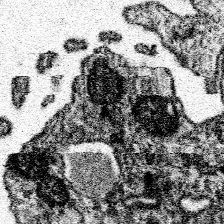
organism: Spongilla lacustris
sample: Neuroid cell